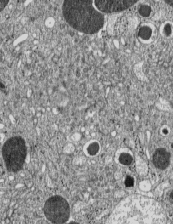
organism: C57BL Mouse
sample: Pancreatic islet